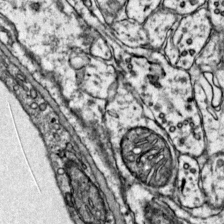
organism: Mouse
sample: Primary visual cortex